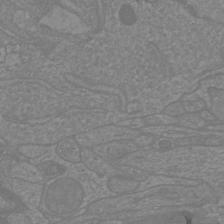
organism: Mouse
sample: Cortical neurons